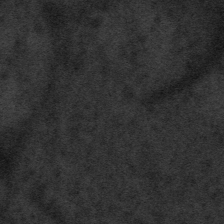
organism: Tuwongella immobilis